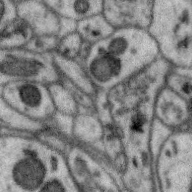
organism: Zebra finch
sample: Brain